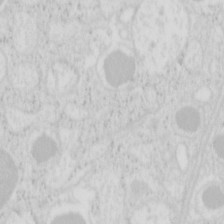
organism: Mouse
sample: Pancreas